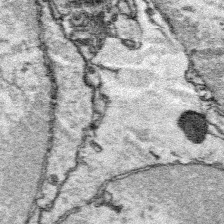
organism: Platynereis dumerilii